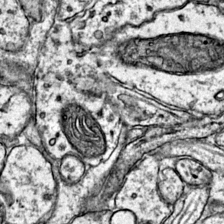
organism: Mouse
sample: Primary visual cortex